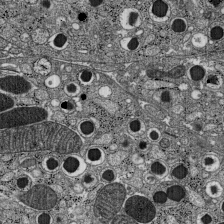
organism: C57BL Mouse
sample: Pancreatic islet